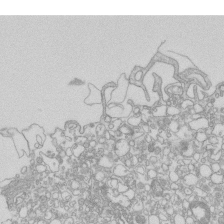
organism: Mouse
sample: Macrophages